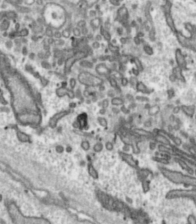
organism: Toxoplasma gondii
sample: Parasites in a vacuole inside a host cell